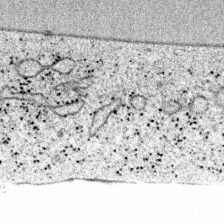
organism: Human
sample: HeLa cells